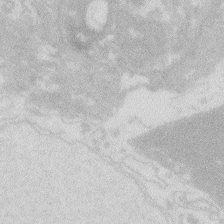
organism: Zebrafish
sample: Macrophage